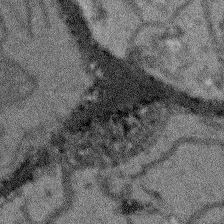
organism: Arabidopsis thaliana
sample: Root tip